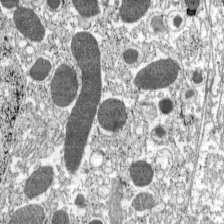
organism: C57BL Mouse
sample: Pancreatic islet